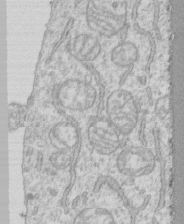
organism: Human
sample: CRL-1474